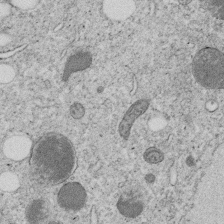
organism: C. elegans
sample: C. elegans embryo early stage